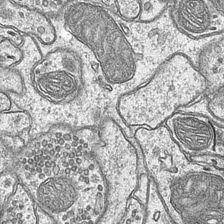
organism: Mouse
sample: CA1 Hippocampus